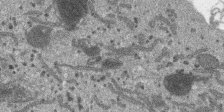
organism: Human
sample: Lung epithelial cells infected with SARS-CoV-2